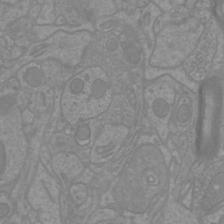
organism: Mouse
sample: Cortical neurons